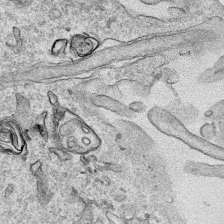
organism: Human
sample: Mitochondria in HCT116 cells